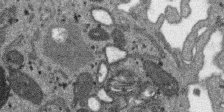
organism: Human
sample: Lung epithelial cells infected with SARS-CoV-2